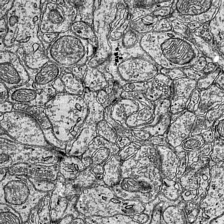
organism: Mouse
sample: Visual Cortex